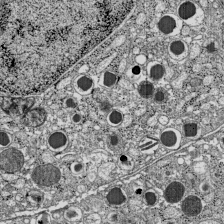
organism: C57BL Mouse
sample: Pancreatic islet